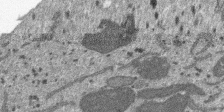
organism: Human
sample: Lung epithelial cells infected with SARS-CoV-2